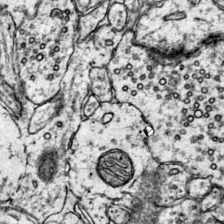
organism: Mouse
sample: Primary visual cortex